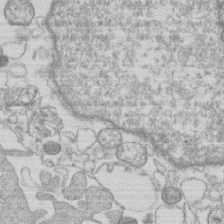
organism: Human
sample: Macrophage cells